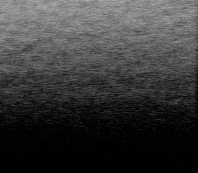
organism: Human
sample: HeLa cells